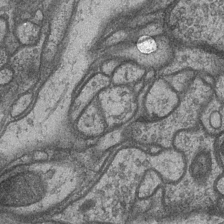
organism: Drosophila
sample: Optic medulla